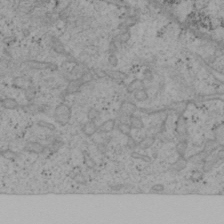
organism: Human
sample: HeLa cells